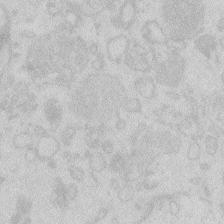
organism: Zebrafish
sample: Macrophage